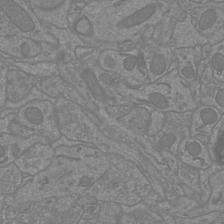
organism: Mouse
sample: Cortical neurons